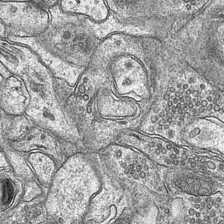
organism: Mouse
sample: CA1 Hippocampus